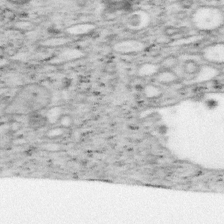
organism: Mouse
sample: OT-I killer T cells with ID8 ovarian cancer cells